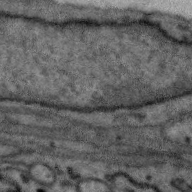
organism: Zebra finch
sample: Brain